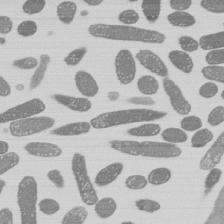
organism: E. coli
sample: Bacterial nucleoid